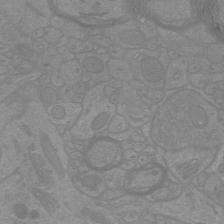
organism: Mouse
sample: Cortical neurons